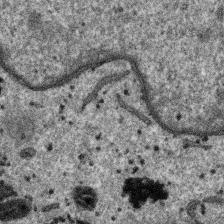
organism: Human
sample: Lung epithelial cells infected with SARS-CoV-2